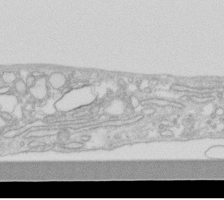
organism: Human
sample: Fibroblast cells